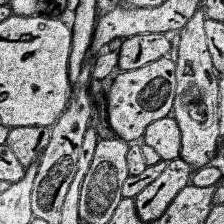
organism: Human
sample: Temporal Lobe